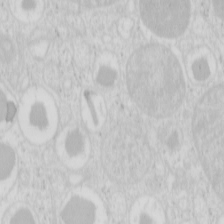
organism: Mouse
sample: Pancreas